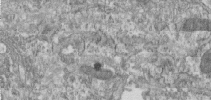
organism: Human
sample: Centriole in RPE cells